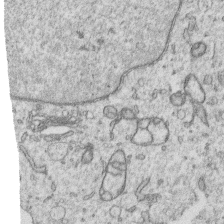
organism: Human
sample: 1205lu cells